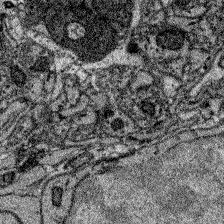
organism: Zebrafish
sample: Larval olfactory bulb